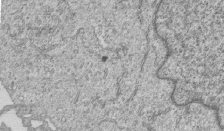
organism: Human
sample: MDA-MB-231 cells